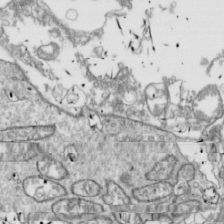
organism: Drosophila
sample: Cell division; meiosis; drosophila spermatocytes